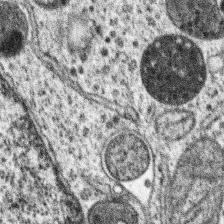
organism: Human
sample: HeLa cells